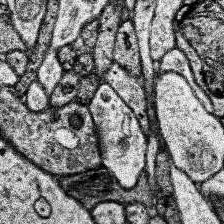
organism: Human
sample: Temporal Lobe